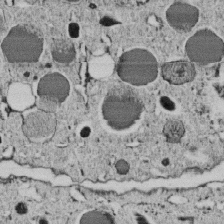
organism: C. elegans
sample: C. elegans embryo early stage